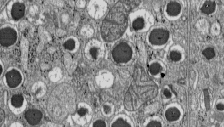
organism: C57BL Mouse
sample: Pancreatic islet